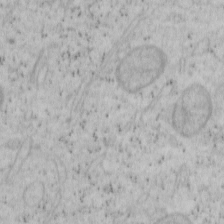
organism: Human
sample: HeLa cells